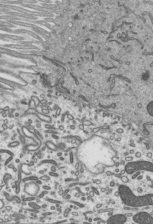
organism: Mouse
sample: Mouse epididymis efferent ductule cilia